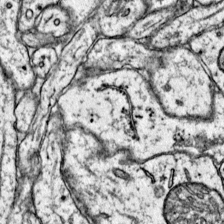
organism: Mouse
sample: Primary visual cortex